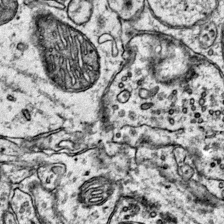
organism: Mouse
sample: Primary visual cortex